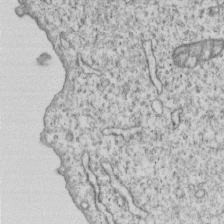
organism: Human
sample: MDA-MB-231 cells